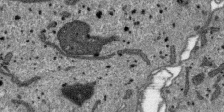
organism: Human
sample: Lung epithelial cells, uninfected (mock) control